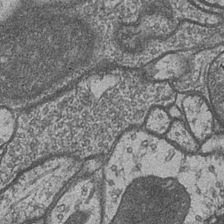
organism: Drosophila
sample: Optic medulla